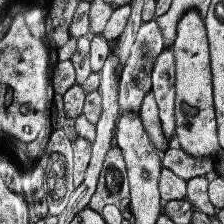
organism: Human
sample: Temporal Lobe